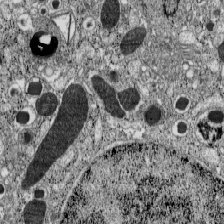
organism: C57BL Mouse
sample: Pancreatic islet